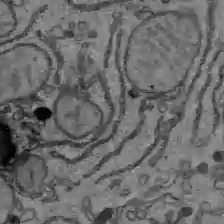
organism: C57BL Mouse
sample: Liver